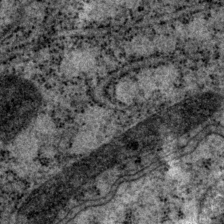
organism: P. pacificus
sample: Pharynx